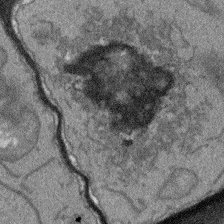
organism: Arabidopsis thaliana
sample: Root tip